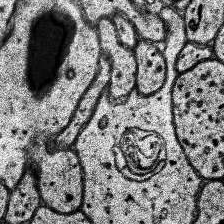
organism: Human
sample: Temporal Lobe